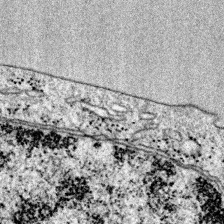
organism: Human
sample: HeLa cells